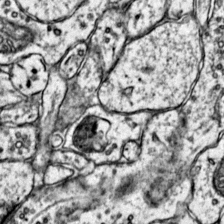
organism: Mouse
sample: Primary visual cortex